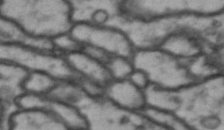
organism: Drosophila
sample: Brain